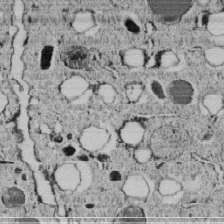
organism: C. elegans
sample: C. elegans embryo early stage